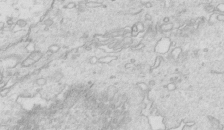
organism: Mouse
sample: Multiciliated cells